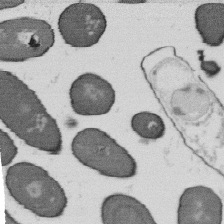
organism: B. subtilis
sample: Bacterial spore